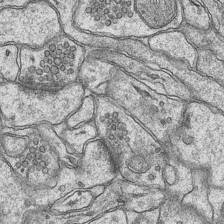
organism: Mouse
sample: CA1 Hippocampus